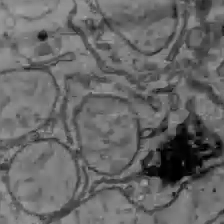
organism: C57BL Mouse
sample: Liver